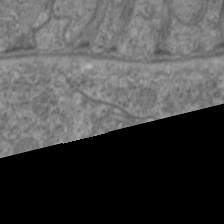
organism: C. elegans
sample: Pharynx